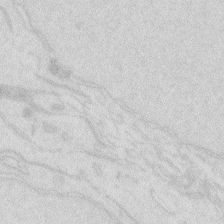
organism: Zebrafish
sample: Macrophage